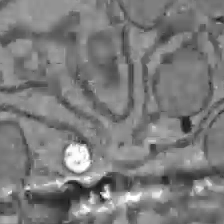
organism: C57BL Mouse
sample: Liver